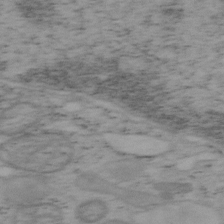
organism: Mouse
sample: OT-I killer T cells with ID8 ovarian cancer cells